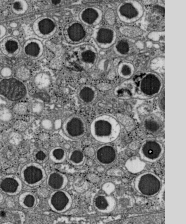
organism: C57BL Mouse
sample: Pancreatic islet